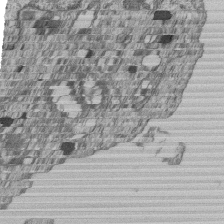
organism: Human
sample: MDA-MB-231 cells